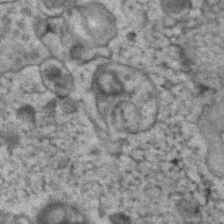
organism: Human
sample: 1205lu cells